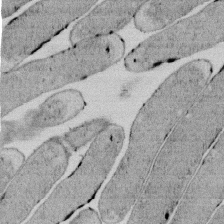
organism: E. coli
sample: Bacterial nucleoid